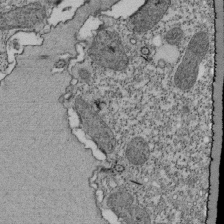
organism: Tetrahymena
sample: Cilia in tetrahymena